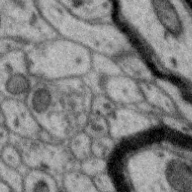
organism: Zebra finch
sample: Brain